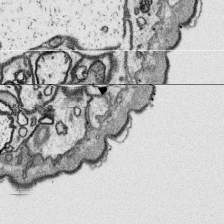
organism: Platynereis dumerilii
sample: Parapodia